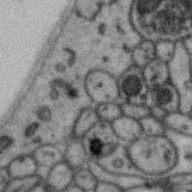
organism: Zebra finch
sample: Brain